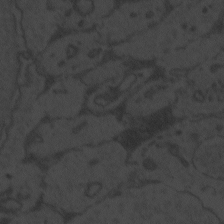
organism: Zebrafish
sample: Macrophage infected with Toxoplasma gondii